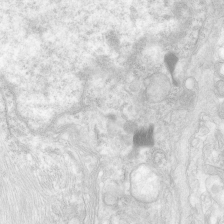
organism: Human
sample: Neocortex